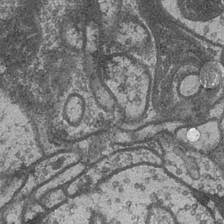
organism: Drosophila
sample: Optic medulla